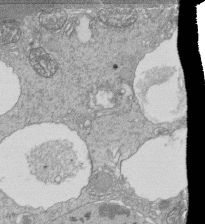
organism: Tetrahymena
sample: Cilia in tetrahymena